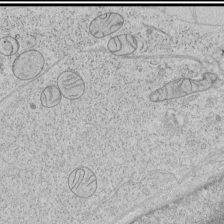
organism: Human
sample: Mitochondria in HCT116 cells